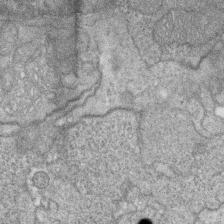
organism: Zebrafish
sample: Cilia; retinal pigment epithelium